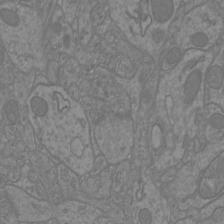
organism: Mouse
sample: Cortical neurons